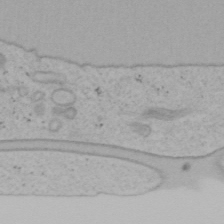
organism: Human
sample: HeLa cells